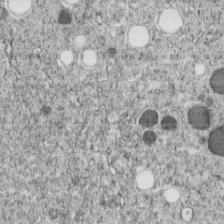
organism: C. elegans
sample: C. elegans embryo early stage